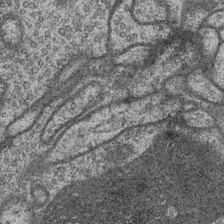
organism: Drosophila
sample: Optic medulla